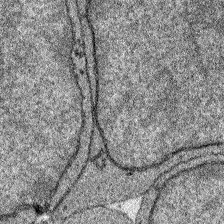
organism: Zebrafish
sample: Larval olfactory bulb